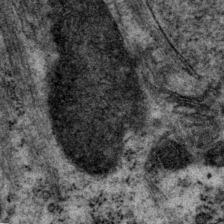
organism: P. pacificus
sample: Pharynx